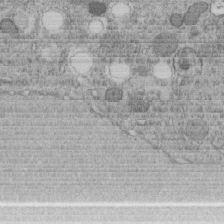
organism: C. elegans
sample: C. elegans embryo early stage